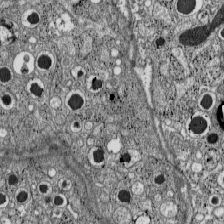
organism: C57BL Mouse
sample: Pancreatic islet